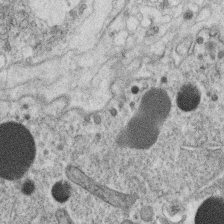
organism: C. elegans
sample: C. elegans oocyte; sperm cells